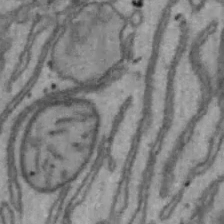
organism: Mouse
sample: Liver